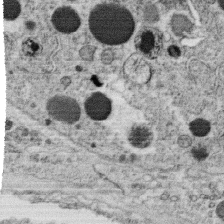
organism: C. elegans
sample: C. elegans oocyte; sperm cells